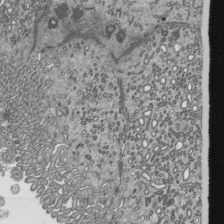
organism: Mouse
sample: Mouse epididymis efferent ductule cilia